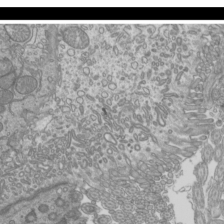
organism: Mouse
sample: Cilia; mouse epididymis